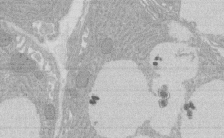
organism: Rat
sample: Salivary granule